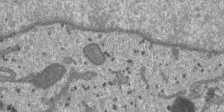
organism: Human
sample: Lung epithelial cells infected with SARS-CoV-2